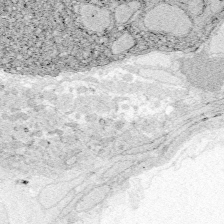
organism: Zebrafish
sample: Whole-Brain